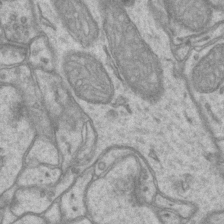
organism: Mouse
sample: CA1 Hippocampus